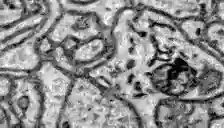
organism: Zebrafish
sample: Brain